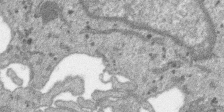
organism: Human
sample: Lung epithelial cells infected with SARS-CoV-2